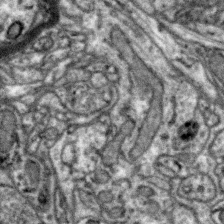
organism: Zebra finch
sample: Brain